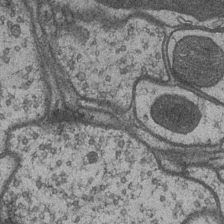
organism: Drosophila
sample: Optic medulla